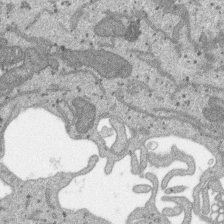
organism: Human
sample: Lung epithelial cells infected with SARS-CoV-2